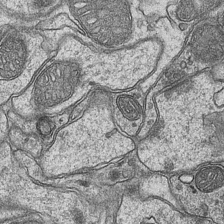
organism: Mouse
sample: CA1 Hippocampus